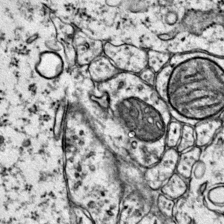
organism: Mouse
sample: Primary visual cortex